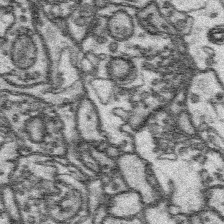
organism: Platynereis dumerilii